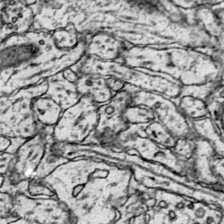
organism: Mouse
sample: Primary visual cortex